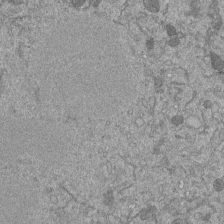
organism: Mouse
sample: ED-1 cell nuclei; centrioles